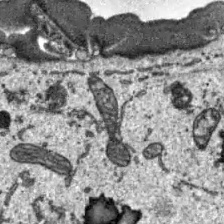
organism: Human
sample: HeLa cells